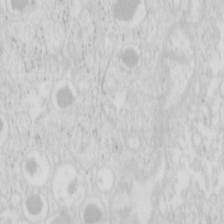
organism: Mouse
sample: Pancreas